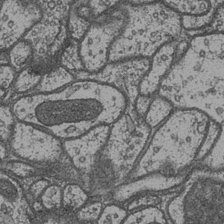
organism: Drosophila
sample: Optic medulla